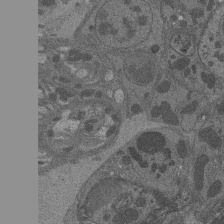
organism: Drosophila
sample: Antenna